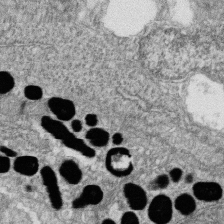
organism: Zebrafish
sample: Cilia; retinal pigment epithelium